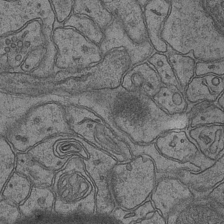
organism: Mouse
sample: CA1 Hippocampus